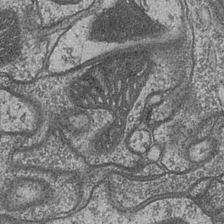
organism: Drosophila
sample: Optic medulla